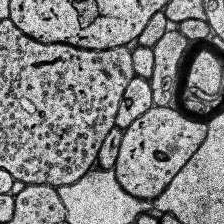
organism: Human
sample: Temporal Lobe